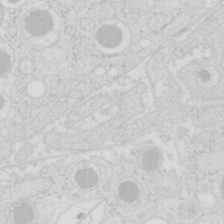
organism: Mouse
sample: Pancreas